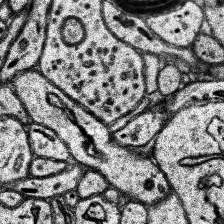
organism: Human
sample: Temporal Lobe